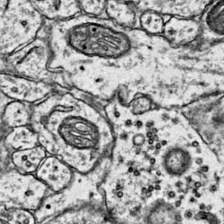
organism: Mouse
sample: Primary visual cortex